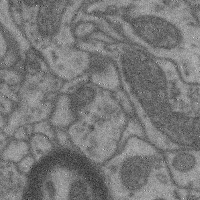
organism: Mouse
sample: Cerebral cortex